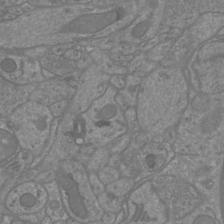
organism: Mouse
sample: Cortical neurons